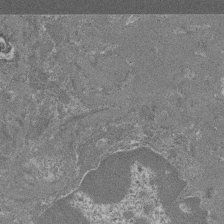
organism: Mouse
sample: Glomerulus